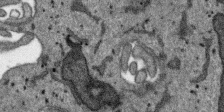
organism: Human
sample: Lung epithelial cells, uninfected (mock) control